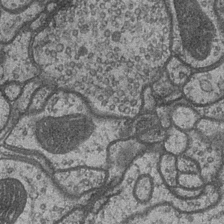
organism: Drosophila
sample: Optic medulla